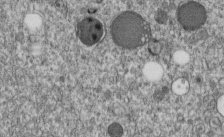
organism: C. elegans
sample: C. elegans embryo early stage